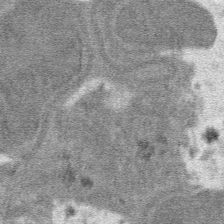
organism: Mouse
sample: Mouse hepatocytes